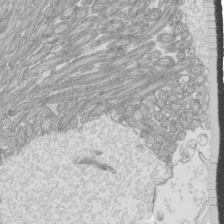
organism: Mouse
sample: Cilia; mouse epididymis